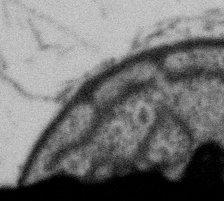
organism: Gemmata obscuriglobus